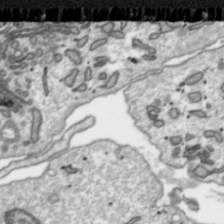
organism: Toxoplasma gondii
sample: Parasites in a vacuole inside a host cell